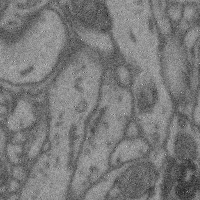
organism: Mouse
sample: Cerebral cortex